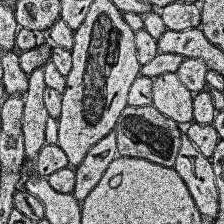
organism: Human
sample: Temporal Lobe